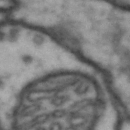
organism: Drosophila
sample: Brain